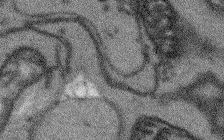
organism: Arabidopsis thaliana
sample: Root tip